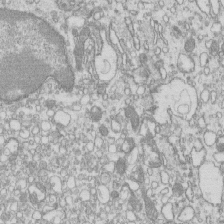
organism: Mouse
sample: Macrophages